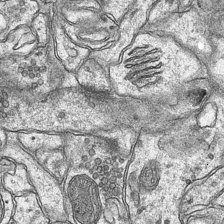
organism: Mouse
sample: CA1 Hippocampus